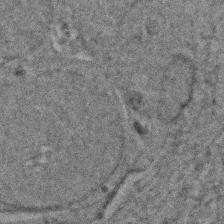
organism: Zebrafish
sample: Zebrafish embryo